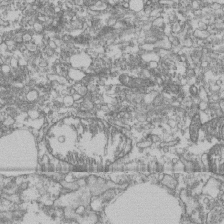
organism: Human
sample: Fibroblast cells